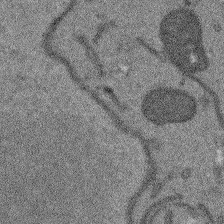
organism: Arabidopsis thaliana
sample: Root tip